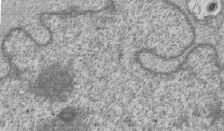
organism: Human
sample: MDA-MB-231 cells